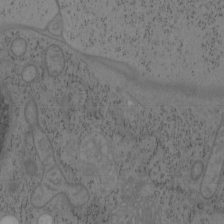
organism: Mouse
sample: OT-I killer T cells with ID8 ovarian cancer cells